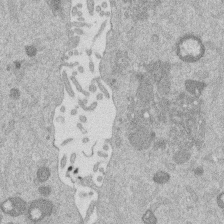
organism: Mouse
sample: Dividing mouse embryo 1 cell stage